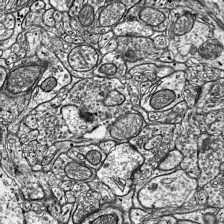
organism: Mouse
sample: Visual Cortex